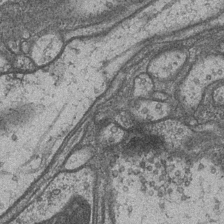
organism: Drosophila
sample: Optic medulla